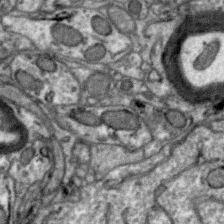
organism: Zebra finch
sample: Brain